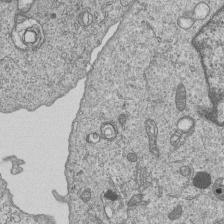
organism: Human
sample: MDA-MB-231 cells